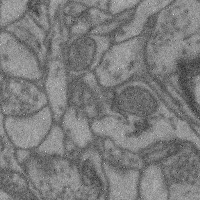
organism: Mouse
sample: Cerebral cortex